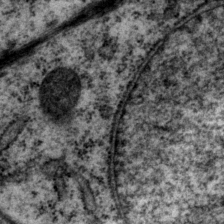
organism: P. pacificus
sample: Pharynx